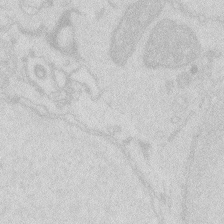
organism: Zebrafish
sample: Macrophage